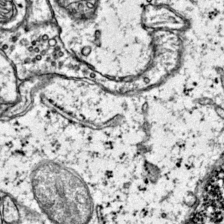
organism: Mouse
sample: Primary visual cortex